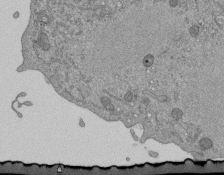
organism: Mouse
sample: ED-1 cell nuclei; centrioles